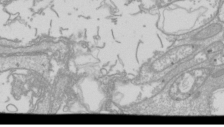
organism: Drosophila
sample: Cell division; meiosis; drosophila spermatocytes